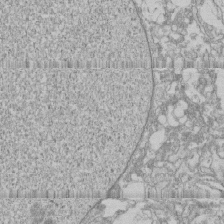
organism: Human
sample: CRL-1474